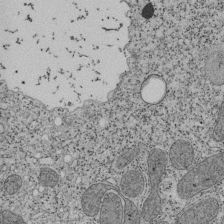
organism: Tetrahymena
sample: Cilia in tetrahymena